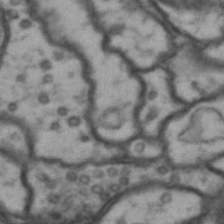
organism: Drosophila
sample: Brain